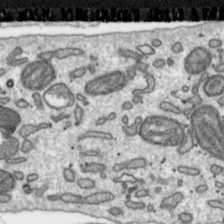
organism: Toxoplasma gondii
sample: Parasites in a vacuole inside a host cell